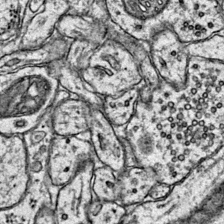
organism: Mouse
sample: Primary visual cortex